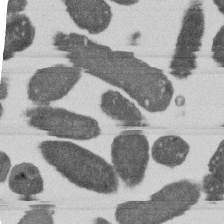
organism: E. coli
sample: Bacterial nucleoid